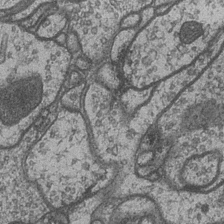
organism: Drosophila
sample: Optic medulla